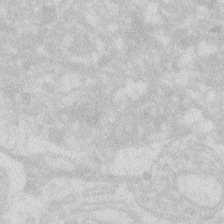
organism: Zebrafish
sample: Macrophage